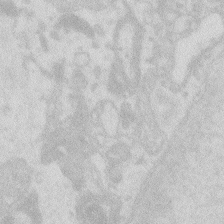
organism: Zebrafish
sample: Macrophage